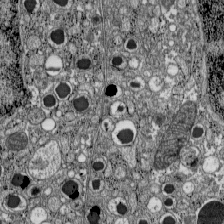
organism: C57BL Mouse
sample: Pancreatic islet